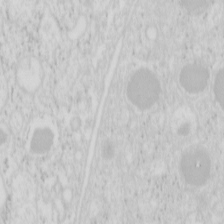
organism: Mouse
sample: Pancreas